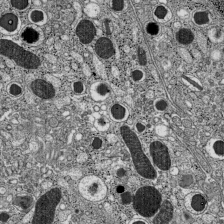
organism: C57BL Mouse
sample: Pancreatic islet